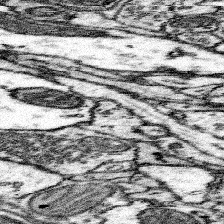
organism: Mouse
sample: Somatosensory cortex neuropil